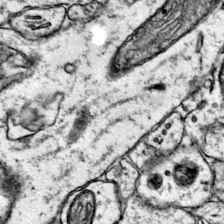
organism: Mouse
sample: Primary visual cortex